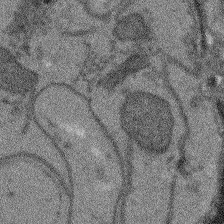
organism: Arabidopsis thaliana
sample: Root tip